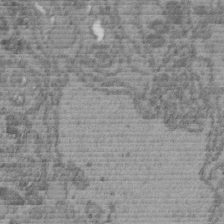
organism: C. elegans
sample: C. elegans embryo early stage